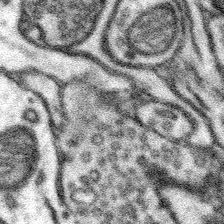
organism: Mouse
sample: Somatosensory cortex neuropil